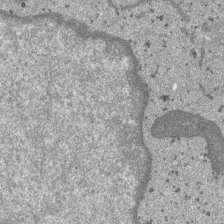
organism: Human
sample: Lung epithelial cells infected with SARS-CoV-2